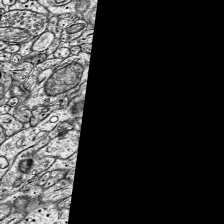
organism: Mouse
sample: Visual Cortex